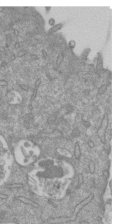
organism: Mouse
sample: ED-1 cell nuclei; centrioles